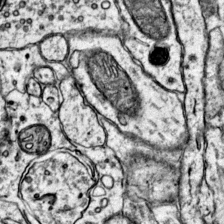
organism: Mouse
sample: Primary visual cortex